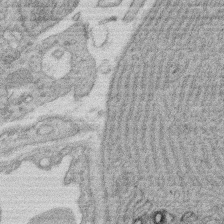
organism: Rat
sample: Salivary granule